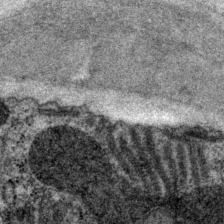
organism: P. pacificus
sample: Pharynx